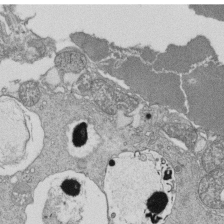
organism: Tetrahymena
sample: Cilia in tetrahymena